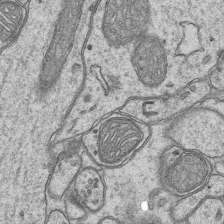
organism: Mouse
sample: CA1 Hippocampus